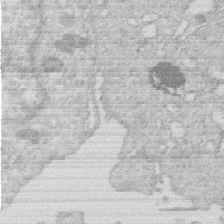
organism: Human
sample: Macrophage cells